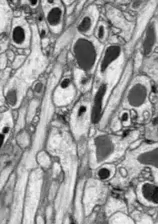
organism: Drosophila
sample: Optic lobe